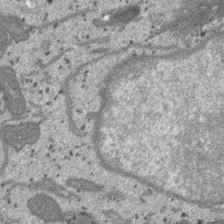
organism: Human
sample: Lung epithelial cells infected with SARS-CoV-2